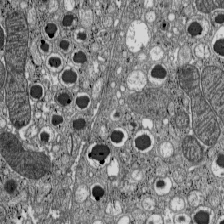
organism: C57BL Mouse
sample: Pancreatic islet